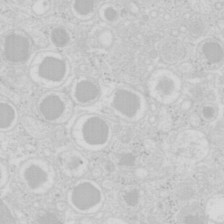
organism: Mouse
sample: Pancreas